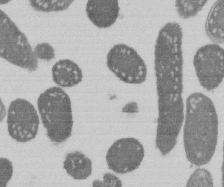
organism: E. coli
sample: Bacterial nucleoid